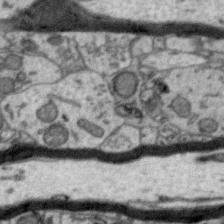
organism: Zebra finch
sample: Brain